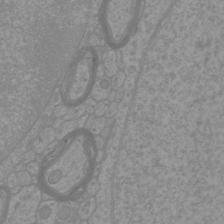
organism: Mouse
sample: Cortical neurons